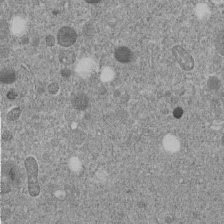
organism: C. elegans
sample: C. elegans embryo early stage